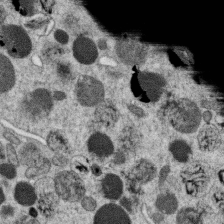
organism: C. elegans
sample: C. elegans oocyte; sperm cells